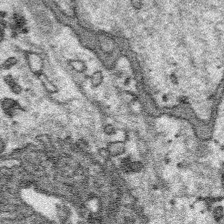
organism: Platynereis dumerilii